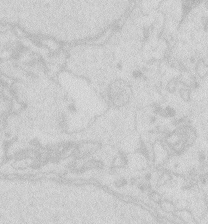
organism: Zebrafish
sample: Macrophage